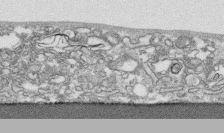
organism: Human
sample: CRL-1474